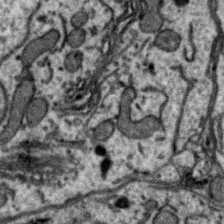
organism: Zebra finch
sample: Brain